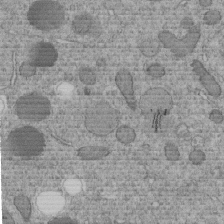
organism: C. elegans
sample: C. elegans embryo early stage